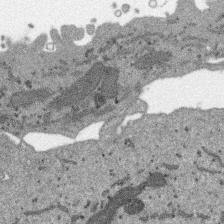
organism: Human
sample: Lung epithelial cells infected with SARS-CoV-2